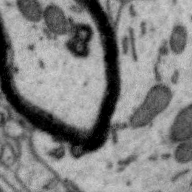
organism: Zebra finch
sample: Brain